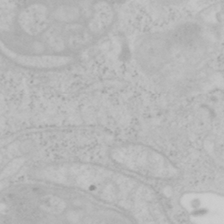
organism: Mouse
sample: OT-I killer T cells with ID8 ovarian cancer cells